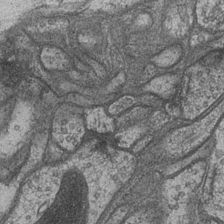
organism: Drosophila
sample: Optic medulla